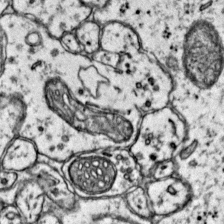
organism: Mouse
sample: Primary visual cortex